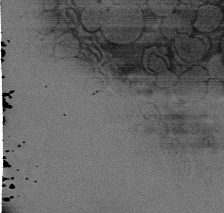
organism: Rat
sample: Salivary granule